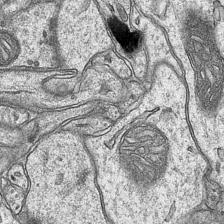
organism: Mouse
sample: CA1 Hippocampus